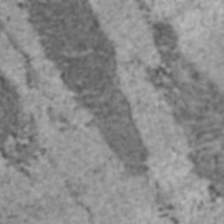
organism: C57BL Mouse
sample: Heart